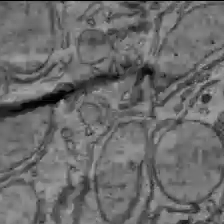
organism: C57BL Mouse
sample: Liver